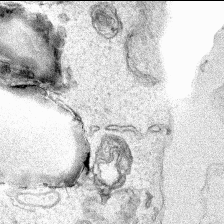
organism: Human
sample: Mitochondria in HCT116 cells